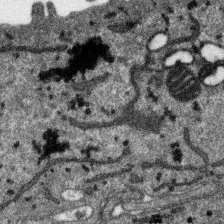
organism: Human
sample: Lung epithelial cells infected with SARS-CoV-2